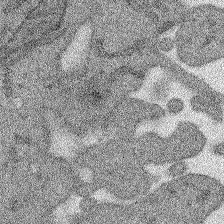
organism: Human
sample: HeLa cells